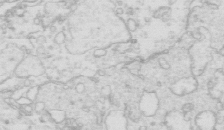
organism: Mouse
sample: Multiciliated cells